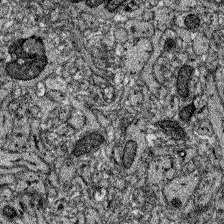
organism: Zebrafish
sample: Larval olfactory bulb